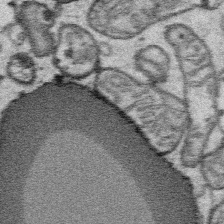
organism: Platynereis dumerilii